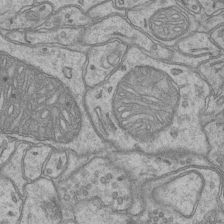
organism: Mouse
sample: CA1 Hippocampus